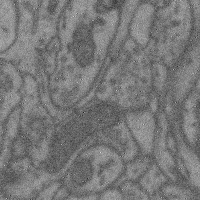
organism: Mouse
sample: Cerebral cortex